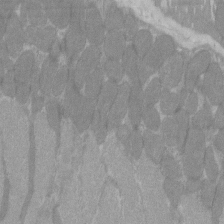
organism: C57BL Mouse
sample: Tibialis anterior muscle cell